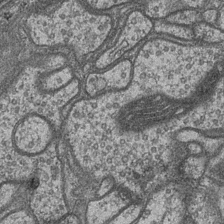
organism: Drosophila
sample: Optic medulla